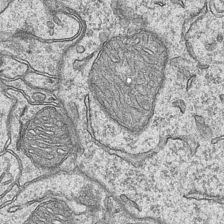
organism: Mouse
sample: CA1 Hippocampus